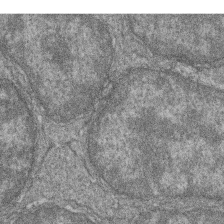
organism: Zebrafish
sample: Cilia; retinal pigment epithelium